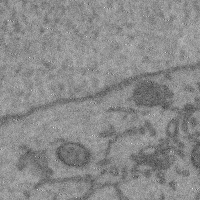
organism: Mouse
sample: Cerebral cortex